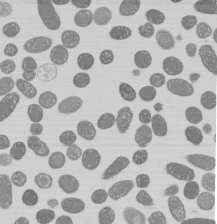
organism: E. coli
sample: Bacterial nucleoid